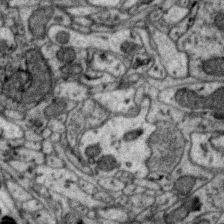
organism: Zebra finch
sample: Brain